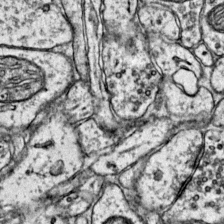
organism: Mouse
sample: Primary visual cortex